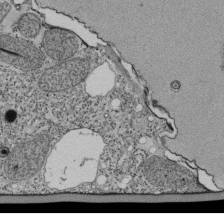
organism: Tetrahymena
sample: Cilia in tetrahymena